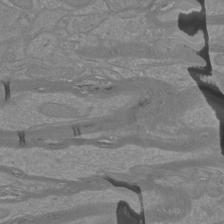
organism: Mouse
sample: Cortical neurons